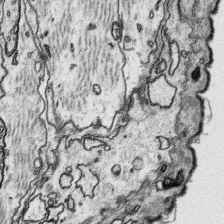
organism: Platynereis dumerilii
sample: Parapodia